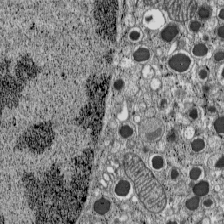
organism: C57BL Mouse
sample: Pancreatic islet